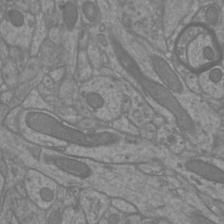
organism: Mouse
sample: Cortical neurons